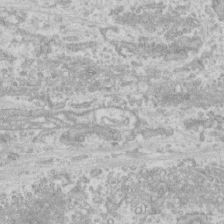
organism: Human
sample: CRL-1474